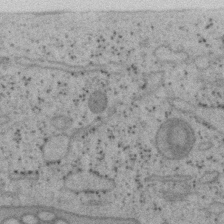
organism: Human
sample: HeLa cells